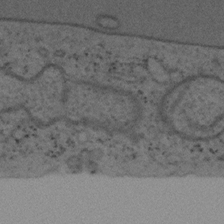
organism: Human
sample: HeLa cells